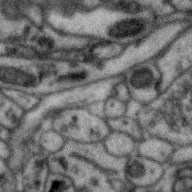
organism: Zebra finch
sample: Brain